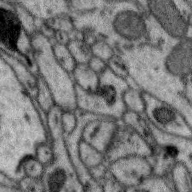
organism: Zebra finch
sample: Brain